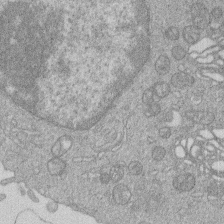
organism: Human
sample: Macrophage cells